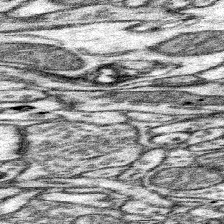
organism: Mouse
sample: Somatosensory cortex neuropil